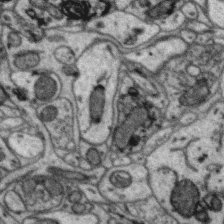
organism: Zebra finch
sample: Brain